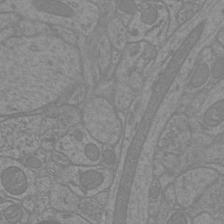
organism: Mouse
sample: Cortical neurons